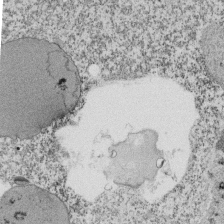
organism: Tetrahymena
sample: Cilia in tetrahymena